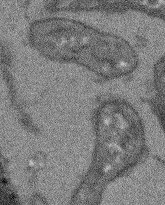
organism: Arabidopsis thaliana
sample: Root tip